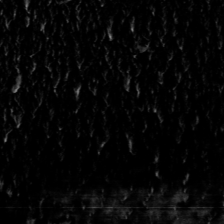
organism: Toxoplasma gondii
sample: Parasites in a vacuole inside a host cell